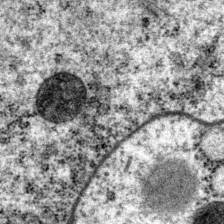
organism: P. pacificus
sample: Pharynx